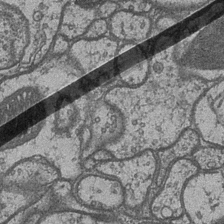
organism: Drosophila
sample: Optic medulla